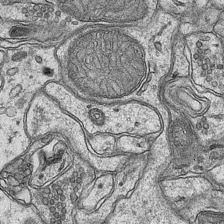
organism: Mouse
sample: CA1 Hippocampus